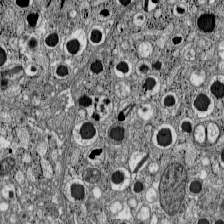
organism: C57BL Mouse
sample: Pancreatic islet